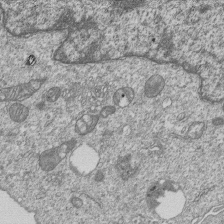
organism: Human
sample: MDA-MB-231 cells